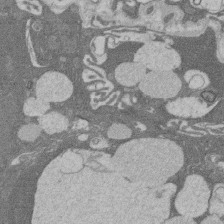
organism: Rat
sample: Salivary granule